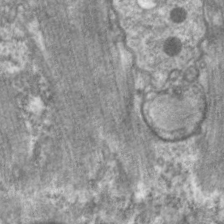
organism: C. elegans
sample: Pharynx